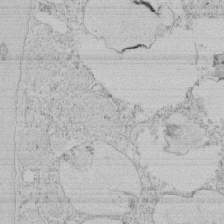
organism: Tetrahymena